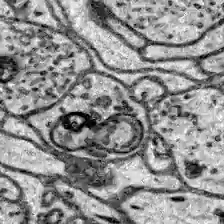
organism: Zebrafish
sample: Brain